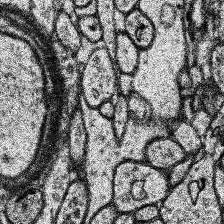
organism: Human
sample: Temporal Lobe